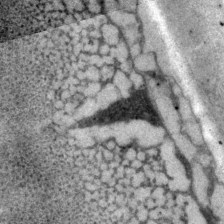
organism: P. pacificus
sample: Pharynx